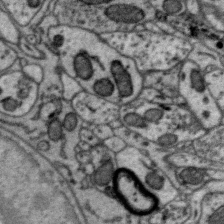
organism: Zebra finch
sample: Brain